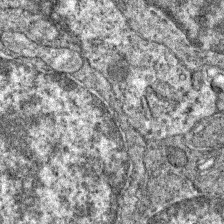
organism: Zebrafish